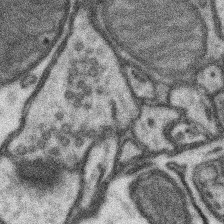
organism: Mouse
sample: Somatosensory cortex neuropil